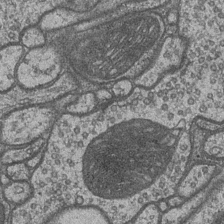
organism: Drosophila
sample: Optic medulla